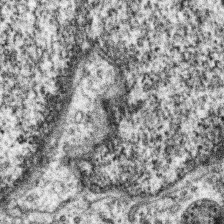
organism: Human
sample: HeLa cells